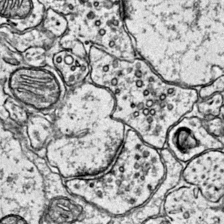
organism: Mouse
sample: Primary visual cortex